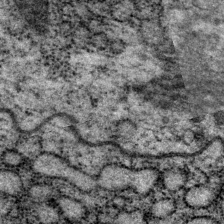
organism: P. pacificus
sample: Pharynx